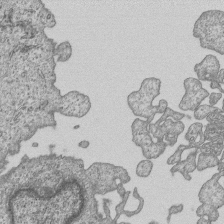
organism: Human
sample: MDA-MB-231 cells